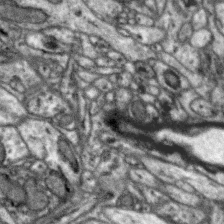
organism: Zebra finch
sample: Brain